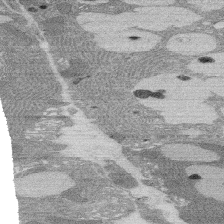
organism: Rat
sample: Salivary granule